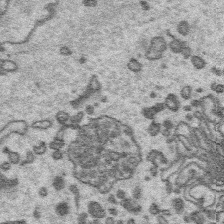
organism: Platynereis dumerilii